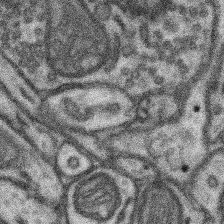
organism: Mouse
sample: Somatosensory cortex neuropil